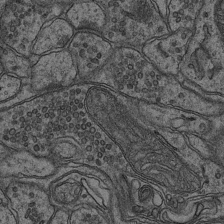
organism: Mouse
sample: CA1 Hippocampus